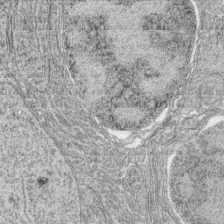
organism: Zebrafish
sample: synaptic ribbons in rod cells and cone cells